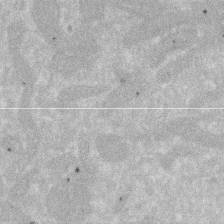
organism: Human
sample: HIV infected U937 cells